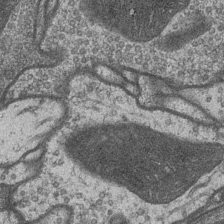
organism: Drosophila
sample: Optic medulla